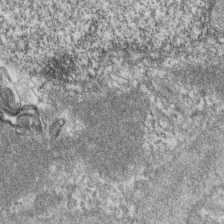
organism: Zebrafish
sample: Cilia; retinal pigment epithelium